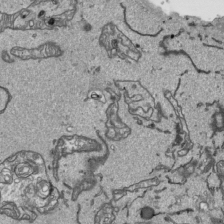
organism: Human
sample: Mitochondria in HCT116 cells